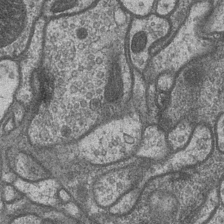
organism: Drosophila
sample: Optic medulla